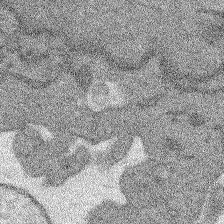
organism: Human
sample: HeLa cells